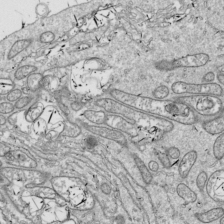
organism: Drosophila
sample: Cell division; meiosis; drosophila spermatocytes